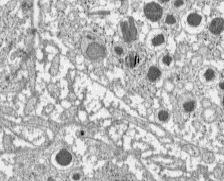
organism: C57BL Mouse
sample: Pancreatic islet